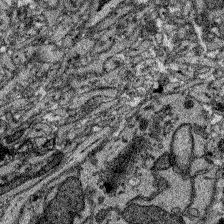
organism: Zebrafish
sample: Larval olfactory bulb